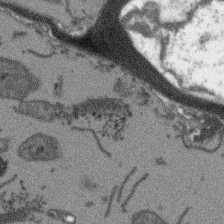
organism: Arabidopsis thaliana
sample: Root tip